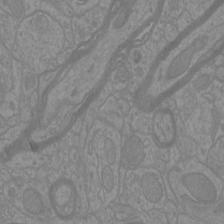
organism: Mouse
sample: Cortical neurons